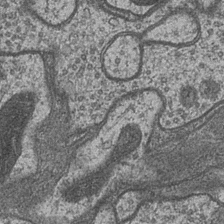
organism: Drosophila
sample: Optic medulla